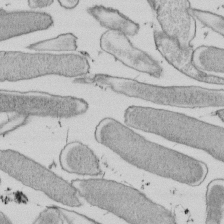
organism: E. coli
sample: Bacterial nucleoid